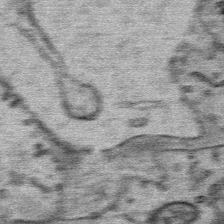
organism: Mouse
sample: Mouse Salivary gland